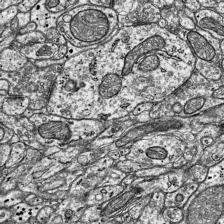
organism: Mouse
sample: Visual Cortex